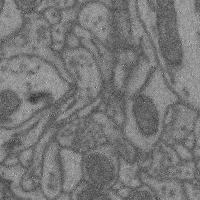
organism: Mouse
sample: Cerebral cortex